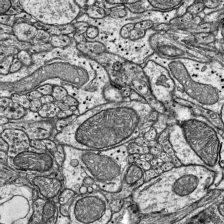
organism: Mouse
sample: Visual Cortex